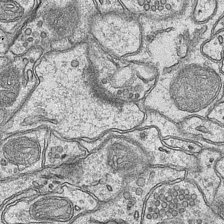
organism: Mouse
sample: CA1 Hippocampus